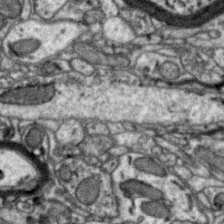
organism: Zebra finch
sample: Brain